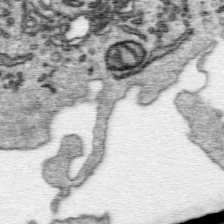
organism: Human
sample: HeLa cells